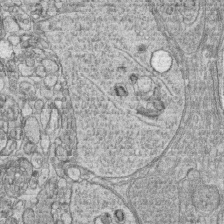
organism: Zebrafish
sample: synaptic ribbons in rod cells and cone cells